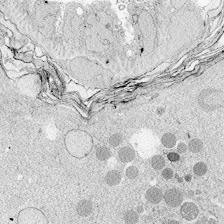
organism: Zebrafish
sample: Whole-Brain